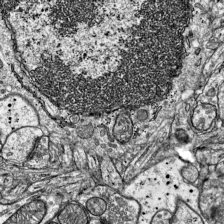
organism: Mouse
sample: Visual Cortex